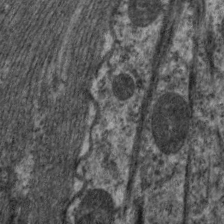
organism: C. elegans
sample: Pharynx